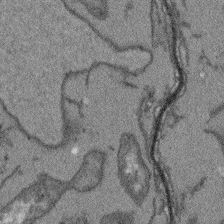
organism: Arabidopsis thaliana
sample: Root tip